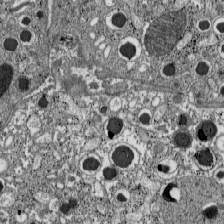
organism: C57BL Mouse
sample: Pancreatic islet